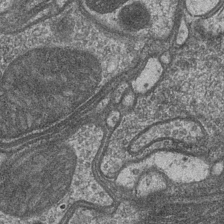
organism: Drosophila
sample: Optic medulla